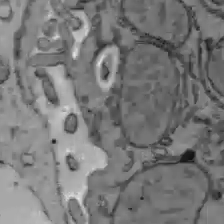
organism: C57BL Mouse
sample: Liver